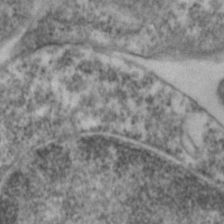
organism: Zebrafish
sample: Zebrafish embryo